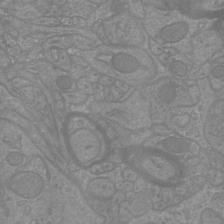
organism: Mouse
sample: Cortical neurons